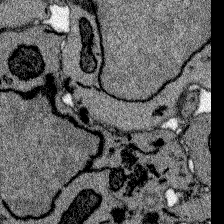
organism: Zebrafish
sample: Larval olfactory bulb